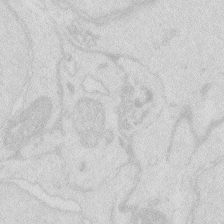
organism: Zebrafish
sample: Macrophage